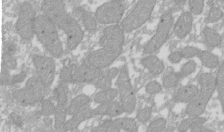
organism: Xenopus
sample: Cilia; centrioles in frog embryo cells